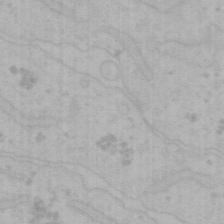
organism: Mouse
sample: Choroid plexus